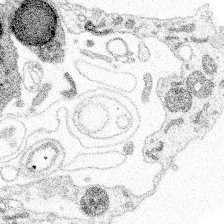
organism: Spongilla lacustris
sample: Multiple